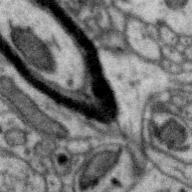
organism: Zebra finch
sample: Brain